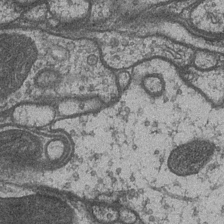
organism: Drosophila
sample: Optic medulla